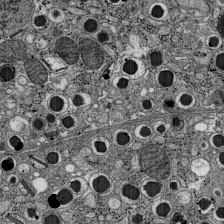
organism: C57BL Mouse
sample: Pancreatic islet